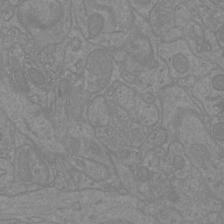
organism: Mouse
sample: Cortical neurons